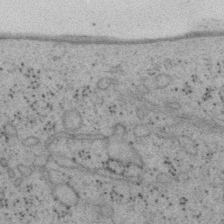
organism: Human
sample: HeLa cells